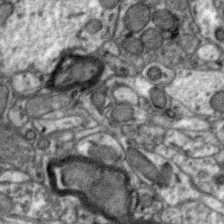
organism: Zebra finch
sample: Brain